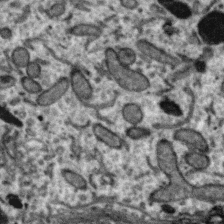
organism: Zebra finch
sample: Brain